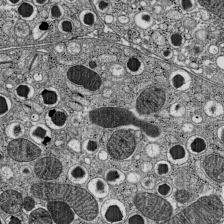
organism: C57BL Mouse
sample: Pancreatic islet